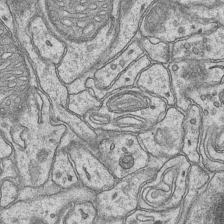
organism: Mouse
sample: CA1 Hippocampus